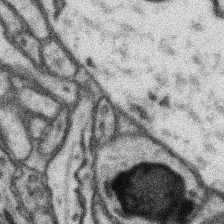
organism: Mouse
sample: Somatosensory cortex neuropil